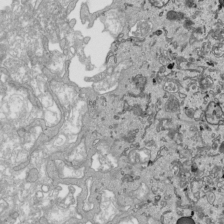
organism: Human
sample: Mitochondria in HCT116 cells